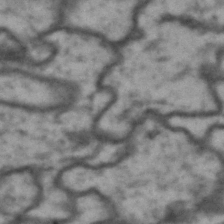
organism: Drosophila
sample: Brain